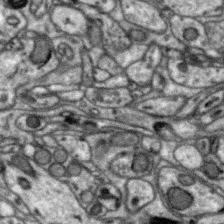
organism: Zebra finch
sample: Brain